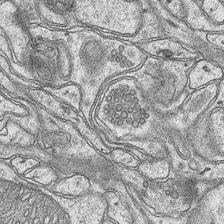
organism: Mouse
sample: CA1 Hippocampus